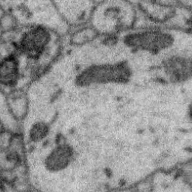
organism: Zebra finch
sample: Brain